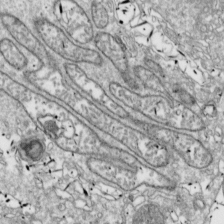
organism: Drosophila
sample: Cell division; meiosis; drosophila spermatocytes